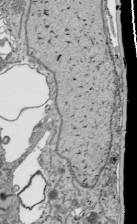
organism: Human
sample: Mitochondria in HCT116 cells